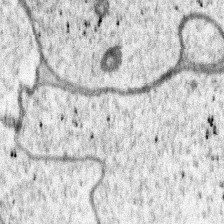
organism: Human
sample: HeLa cells